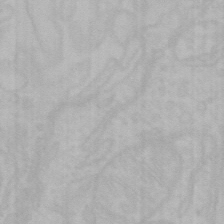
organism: Mouse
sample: Choroid plexus